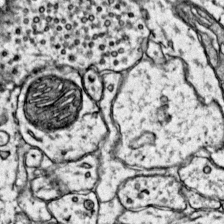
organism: Mouse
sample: Primary visual cortex